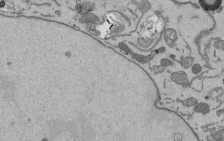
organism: Mouse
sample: ED-1 cell nuclei; centrioles